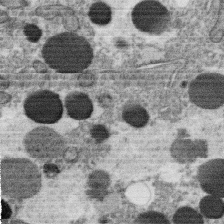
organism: C. elegans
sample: C. elegans oocyte; sperm cells